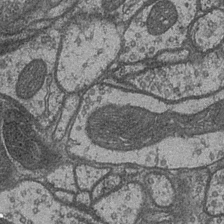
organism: Drosophila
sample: Optic medulla